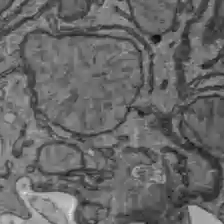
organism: C57BL Mouse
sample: Liver